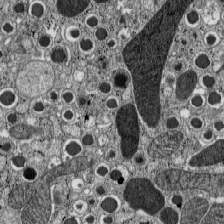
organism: C57BL Mouse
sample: Pancreatic islet